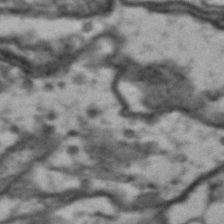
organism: Drosophila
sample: Brain